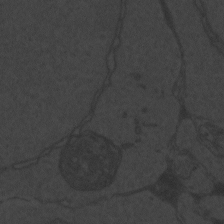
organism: Zebrafish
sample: Macrophage infected with Toxoplasma gondii